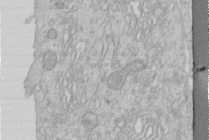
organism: Human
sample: Centriole in RPE cells